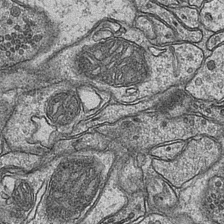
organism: Mouse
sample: CA1 Hippocampus